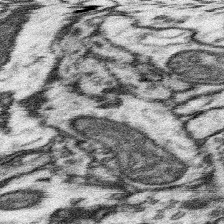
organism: Mouse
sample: Somatosensory cortex neuropil